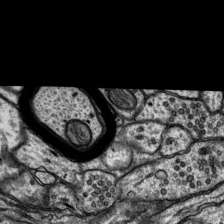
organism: Rat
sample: Hippocampus